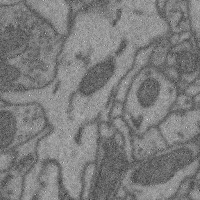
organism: Mouse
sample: Cerebral cortex